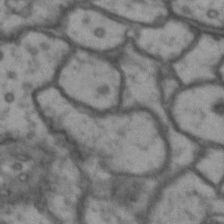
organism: Drosophila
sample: Brain